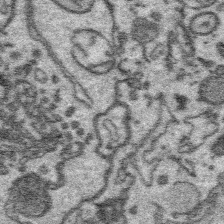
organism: Platynereis dumerilii